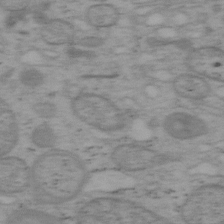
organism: Mouse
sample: OT-I killer T cells with ID8 ovarian cancer cells